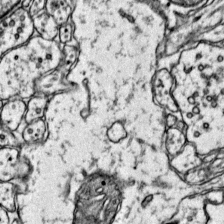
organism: Mouse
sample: Primary visual cortex